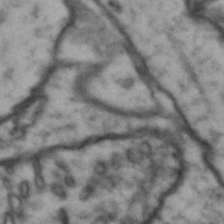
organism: Drosophila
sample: Brain